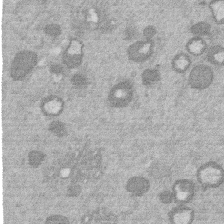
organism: Mouse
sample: Dividing mouse embryo 1 cell stage